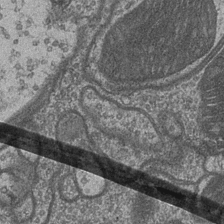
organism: Drosophila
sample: Optic medulla